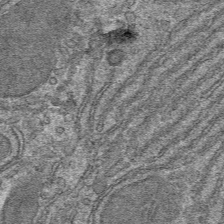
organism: Mouse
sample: Mouse hepatocytes